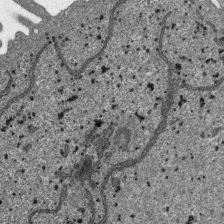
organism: Human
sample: Lung epithelial cells infected with SARS-CoV-2